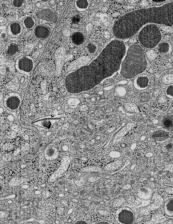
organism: C57BL Mouse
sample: Pancreatic islet